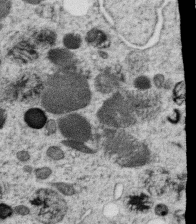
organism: C. elegans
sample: C. elegans oocyte; sperm cells